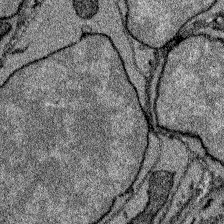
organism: Zebrafish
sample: Larval olfactory bulb